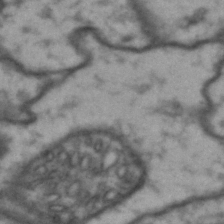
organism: Drosophila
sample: Brain